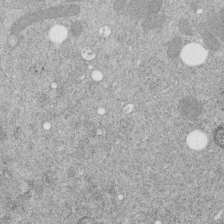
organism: C. elegans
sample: C. elegans embryo early stage